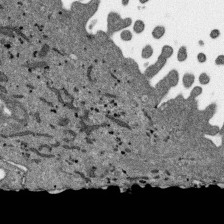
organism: Human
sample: Lung epithelial cells, uninfected (mock) control